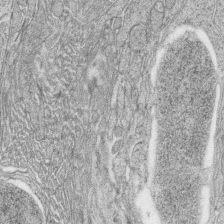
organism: Zebrafish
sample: synaptic ribbons in rod cells and cone cells